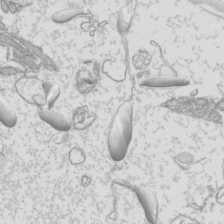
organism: Mouse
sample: Cilia; mouse epididymis